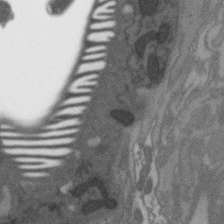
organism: C. elegans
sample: AFD neurons C. elegans